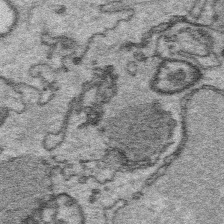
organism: Platynereis dumerilii